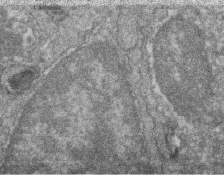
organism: Zebrafish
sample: Cilia; retinal pigment epithelium